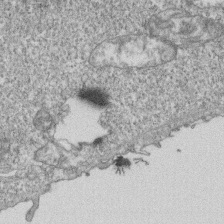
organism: Human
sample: HeLa cell HIV synapse